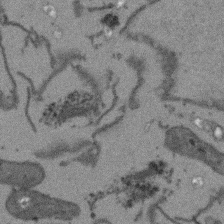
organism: Arabidopsis thaliana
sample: Root tip